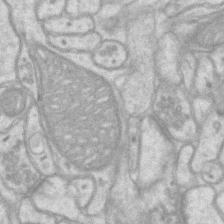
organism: Mouse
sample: CA1 Hippocampus